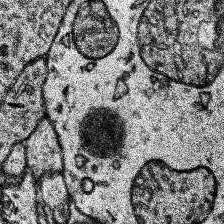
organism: Human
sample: Temporal Lobe